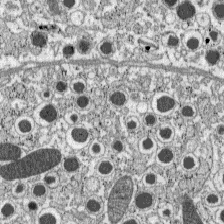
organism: C57BL Mouse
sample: Pancreatic islet